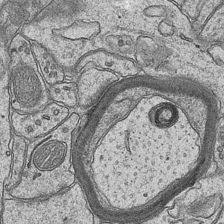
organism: Mouse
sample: CA1 Hippocampus